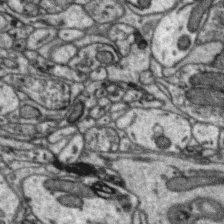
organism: Zebra finch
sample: Brain